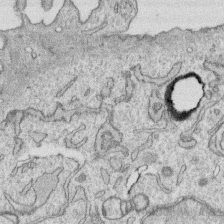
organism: Human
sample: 1205lu cells